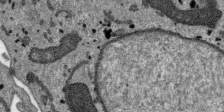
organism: Human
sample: Lung epithelial cells, uninfected (mock) control